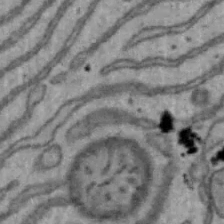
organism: Mouse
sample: Liver